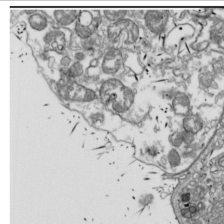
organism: Drosophila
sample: Cell division; meiosis; drosophila spermatocytes